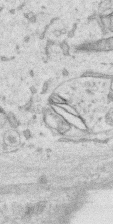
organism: Human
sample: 1205lu cells